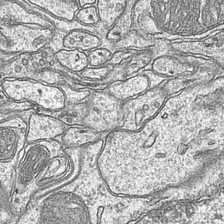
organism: Mouse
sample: CA1 Hippocampus